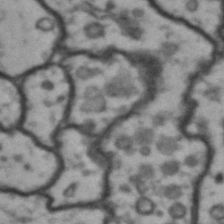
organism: Drosophila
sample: Brain